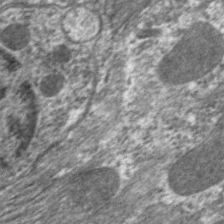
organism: C. elegans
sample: Pharynx